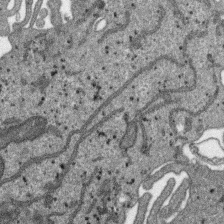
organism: Human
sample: Lung epithelial cells infected with SARS-CoV-2